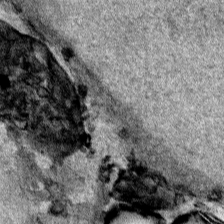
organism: Human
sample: Mitochondria in HCT116 cells